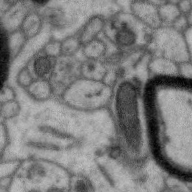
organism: Zebra finch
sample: Brain